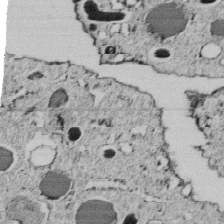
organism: C. elegans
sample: C. elegans embryo early stage